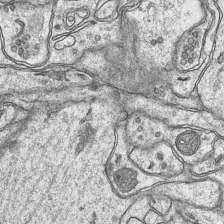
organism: Mouse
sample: CA1 Hippocampus